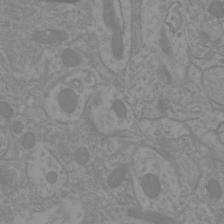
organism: Mouse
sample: Cortical neurons